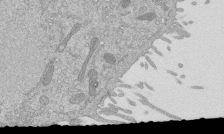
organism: Mouse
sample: ED-1 cell nuclei; centrioles